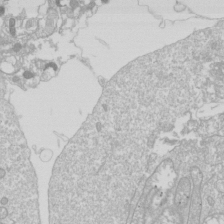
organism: Drosophila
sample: Cell division; meiosis; drosophila spermatocytes